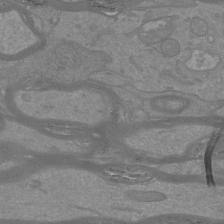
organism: Mouse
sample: Cortical neurons